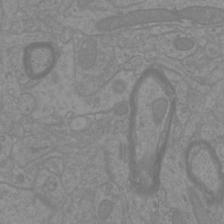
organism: Mouse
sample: Cortical neurons